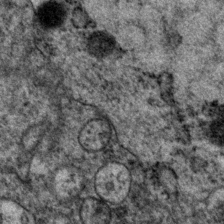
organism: P. pacificus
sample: Pharynx